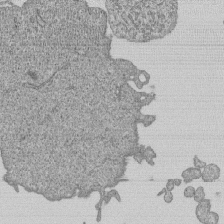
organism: Human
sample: MDA-MB-231 cells